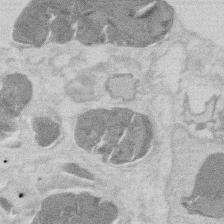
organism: Mouse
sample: T cell stromal cell synapse